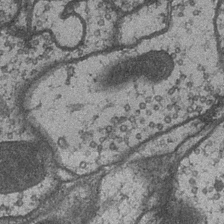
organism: Drosophila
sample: Optic medulla